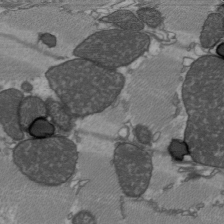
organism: C57BL Mouse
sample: Heart